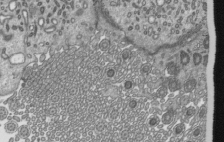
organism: Mouse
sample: Mouse epididymis efferent ductule cilia